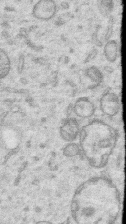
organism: Human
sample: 1205lu cells